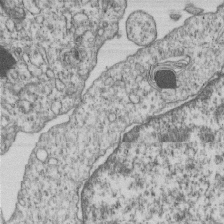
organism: Human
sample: MDA-MB-231 cells